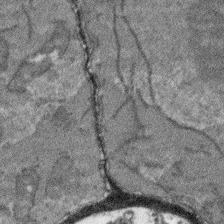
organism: Arabidopsis thaliana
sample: Root tip